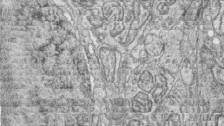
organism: Zebrafish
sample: synaptic ribbons in rod cells and cone cells